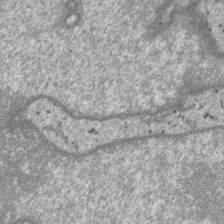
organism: Human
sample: Lung epithelial cells infected with SARS-CoV-2